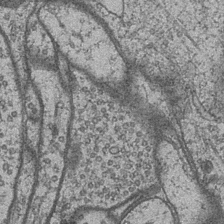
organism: Drosophila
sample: Optic medulla